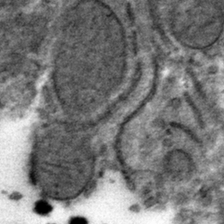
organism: Mouse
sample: Mouse hepatocytes